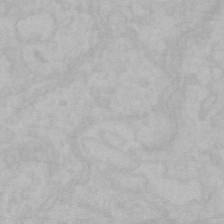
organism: Mouse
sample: Choroid plexus